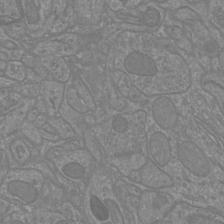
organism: Mouse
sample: Cortical neurons